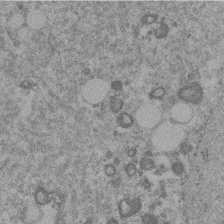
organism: Mouse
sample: Dividing mouse embryo 1 cell stage